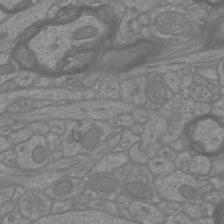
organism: Mouse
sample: Cortical neurons